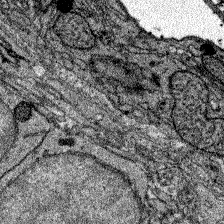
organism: Zebrafish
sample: Larval olfactory bulb